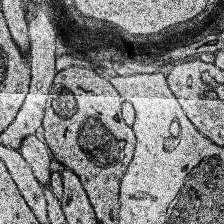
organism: Human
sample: Temporal Lobe